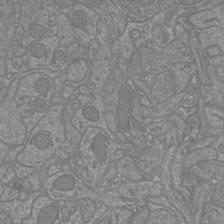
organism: Mouse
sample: Cortical neurons